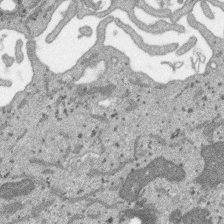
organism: Human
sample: Lung epithelial cells infected with SARS-CoV-2